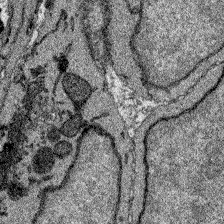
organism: Zebrafish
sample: Larval olfactory bulb